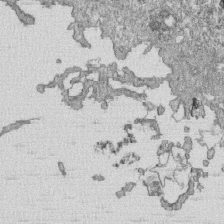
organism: Human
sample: HeLa cell HIV synapse